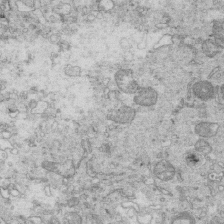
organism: Mouse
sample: Multiciliated cells